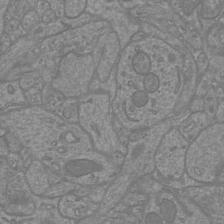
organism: Mouse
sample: Cortical neurons